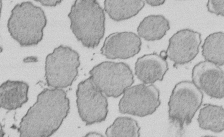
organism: E. coli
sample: Bacterial nucleoid